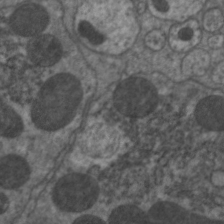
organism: C. elegans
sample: Pharynx